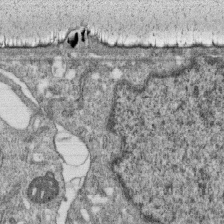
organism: African green monkey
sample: Vero E6 cells infected with SARS-CoV-2